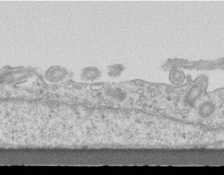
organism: Mouse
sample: Centriole in ependymal cells